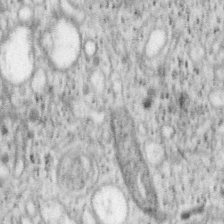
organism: Mouse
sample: OT-I killer T cells with ID8 ovarian cancer cells